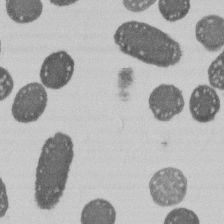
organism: E. coli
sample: Bacterial nucleoid